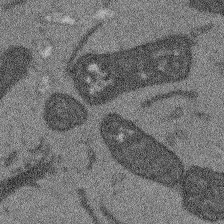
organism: Arabidopsis thaliana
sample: Root tip